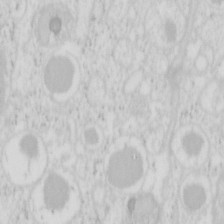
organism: Mouse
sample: Pancreas